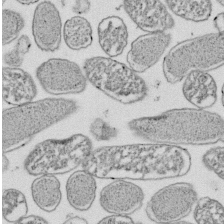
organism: E. coli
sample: Bacterial nucleoid